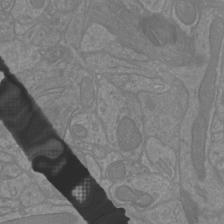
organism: Mouse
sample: Cortical neurons